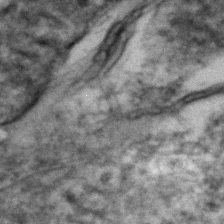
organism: Zebrafish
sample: Zebrafish embryo